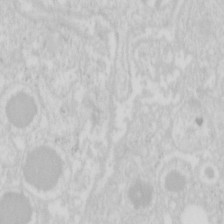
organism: Mouse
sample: Pancreas